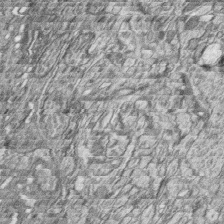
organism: Zebrafish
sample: synaptic ribbons in rod cells and cone cells